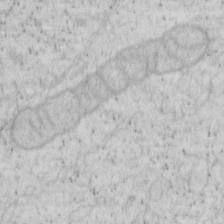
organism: Human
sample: HeLa cells